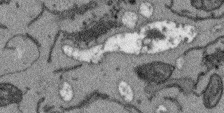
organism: Arabidopsis thaliana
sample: Root tip